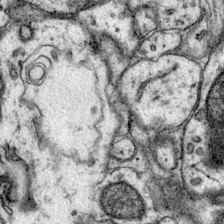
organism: Mouse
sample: Primary visual cortex